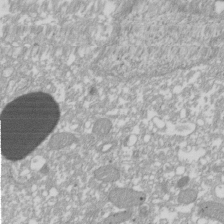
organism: Xenopus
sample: Cilia; centrioles in frog embryo cells